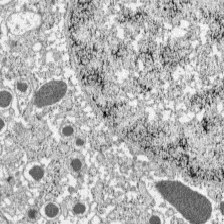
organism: C57BL Mouse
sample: Pancreatic islet